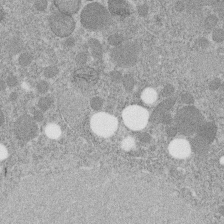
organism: C. elegans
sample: C. elegans embryo early stage